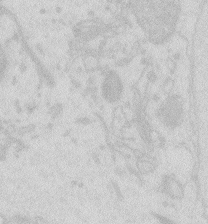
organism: Zebrafish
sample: Macrophage